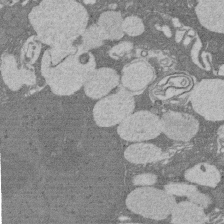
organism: Rat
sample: Salivary granule